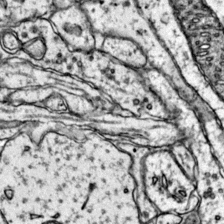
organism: Mouse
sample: Primary visual cortex